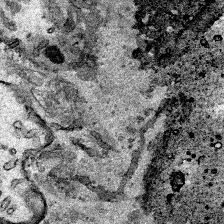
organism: Human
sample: Mitochondria in HCT116 cells